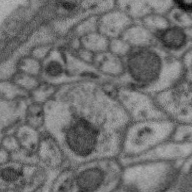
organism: Zebra finch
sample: Brain